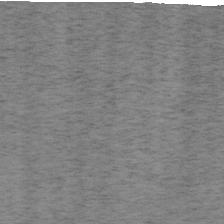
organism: Mouse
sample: OT-I killer T cells with ID8 ovarian cancer cells